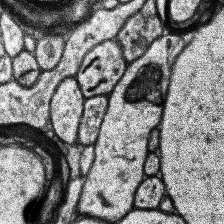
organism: Human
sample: Temporal Lobe